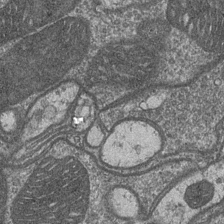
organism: Drosophila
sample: Optic medulla